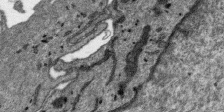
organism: Human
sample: Lung epithelial cells, uninfected (mock) control